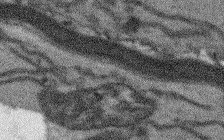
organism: Arabidopsis thaliana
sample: Root tip